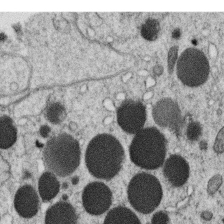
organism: C. elegans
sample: C. elegans oocyte; sperm cells